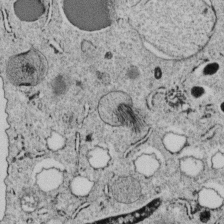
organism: C. elegans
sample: C. elegans embryo early stage